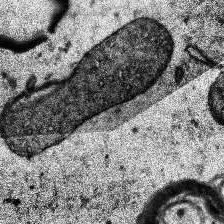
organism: Human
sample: Temporal Lobe